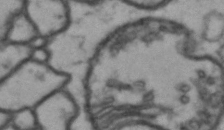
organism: Drosophila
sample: Brain